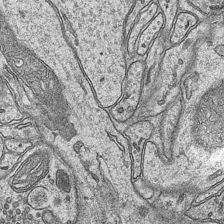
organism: Mouse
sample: CA1 Hippocampus